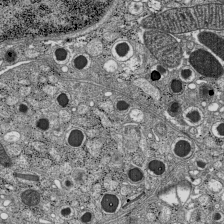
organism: C57BL Mouse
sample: Pancreatic islet